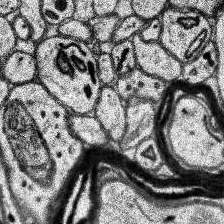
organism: Human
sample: Temporal Lobe